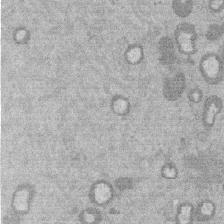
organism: Mouse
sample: Dividing mouse embryo 1 cell stage